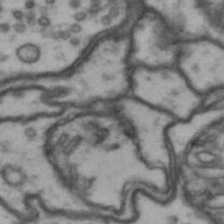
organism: Drosophila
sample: Brain